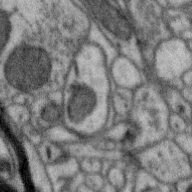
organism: Zebra finch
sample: Brain